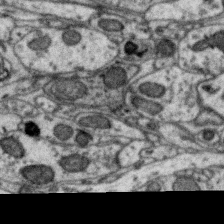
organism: Zebra finch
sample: Brain